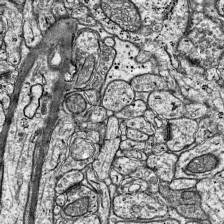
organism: Mouse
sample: Visual Cortex